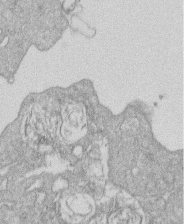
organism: Human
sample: Macrophage cells